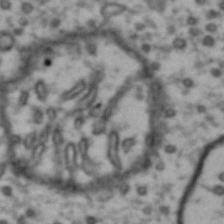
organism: Drosophila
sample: Brain